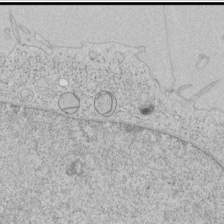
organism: Human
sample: Mitochondria in HCT116 cells